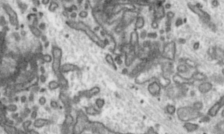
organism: Toxoplasma gondii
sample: Parasites in a vacuole inside a host cell